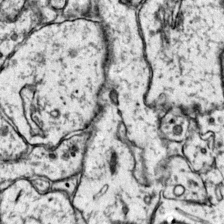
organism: Mouse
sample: Primary visual cortex